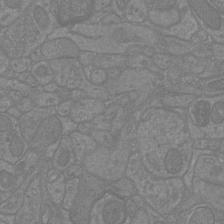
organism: Mouse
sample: Cortical neurons